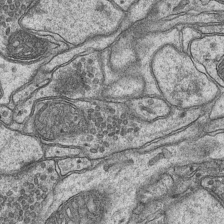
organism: Mouse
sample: CA1 Hippocampus